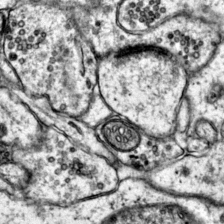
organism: Mouse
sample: Primary visual cortex